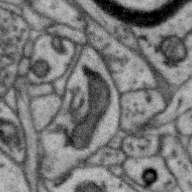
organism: Zebra finch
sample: Brain